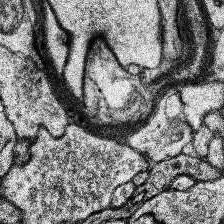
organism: Human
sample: Temporal Lobe